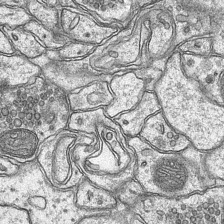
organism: Mouse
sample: CA1 Hippocampus